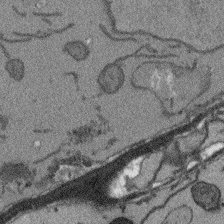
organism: Arabidopsis thaliana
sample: Root tip